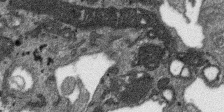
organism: Human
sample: Lung epithelial cells infected with SARS-CoV-2